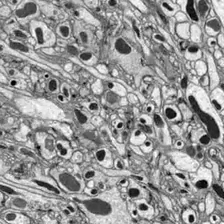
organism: Drosophila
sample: Optic lobe